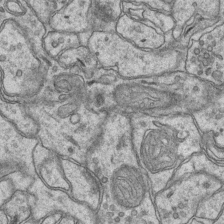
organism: Mouse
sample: CA1 Hippocampus